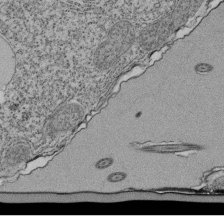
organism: Tetrahymena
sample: Cilia in tetrahymena